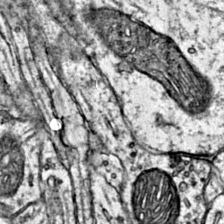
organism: Mouse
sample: Primary visual cortex